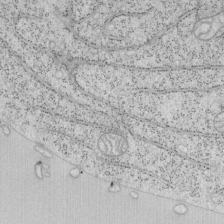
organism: Mouse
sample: OT-I killer T cells with ID8 ovarian cancer cells